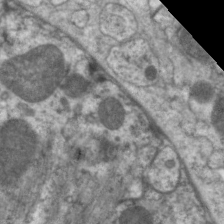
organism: C. elegans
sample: Pharynx